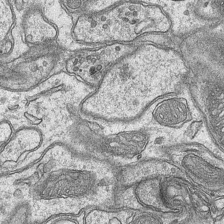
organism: Mouse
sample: CA1 Hippocampus